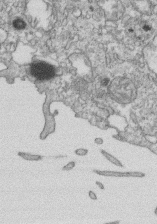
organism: Human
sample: HeLa cell HIV synapse